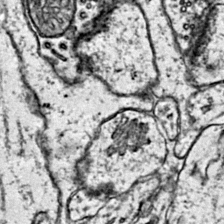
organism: Mouse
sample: Primary visual cortex